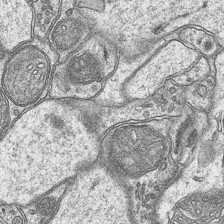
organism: Mouse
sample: CA1 Hippocampus